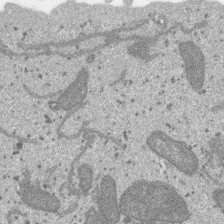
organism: Human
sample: Lung epithelial cells infected with SARS-CoV-2